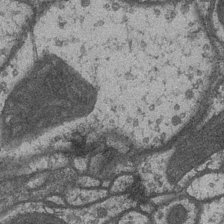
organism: Drosophila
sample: Optic medulla